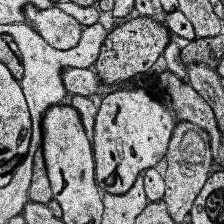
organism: Human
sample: Temporal Lobe